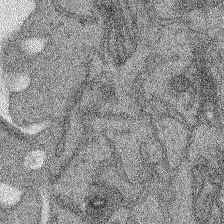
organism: Human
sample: HeLa cells